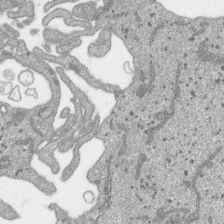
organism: Human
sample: Lung epithelial cells infected with SARS-CoV-2